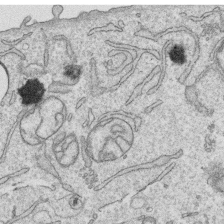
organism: Human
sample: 1205lu cells